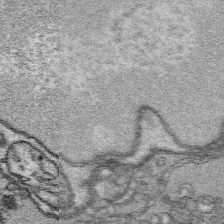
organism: Platynereis dumerilii